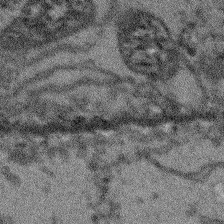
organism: Arabidopsis thaliana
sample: Root tip